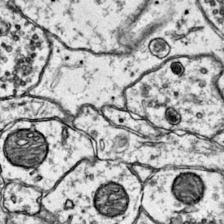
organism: Mouse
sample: Primary visual cortex